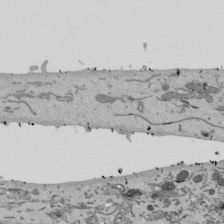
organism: Mouse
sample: ED-1 cell nuclei; centrioles